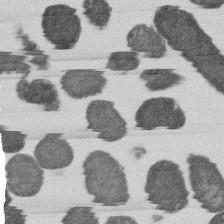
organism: E. coli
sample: Bacterial nucleoid